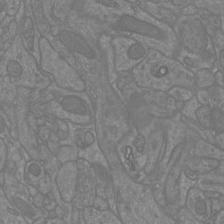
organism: Mouse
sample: Cortical neurons